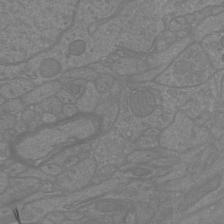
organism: Mouse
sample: Cortical neurons